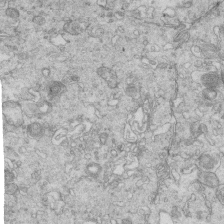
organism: Mouse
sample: Multiciliated cells